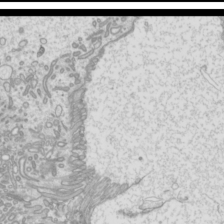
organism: Mouse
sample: Cilia; mouse epididymis